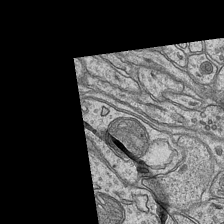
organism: Mouse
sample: CA1 Hippocampus